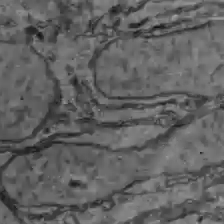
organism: C57BL Mouse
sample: Liver